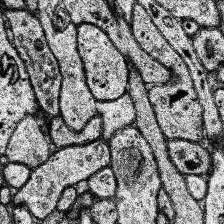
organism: Human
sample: Temporal Lobe